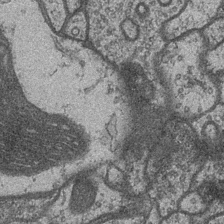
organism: Drosophila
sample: Optic medulla